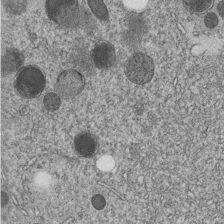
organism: C. elegans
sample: C. elegans embryo early stage